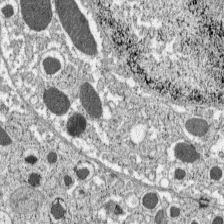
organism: C57BL Mouse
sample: Pancreatic islet